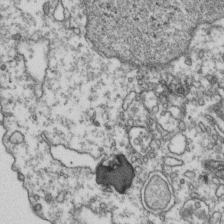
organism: Human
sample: Activated Jurkat CD4+ T cells